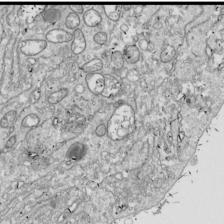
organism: Drosophila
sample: Cell division; meiosis; drosophila spermatocytes